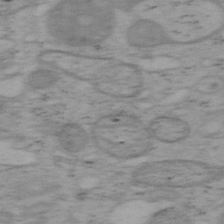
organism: Mouse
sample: OT-I killer T cells with ID8 ovarian cancer cells